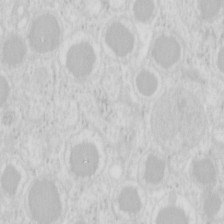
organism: Mouse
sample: Pancreas